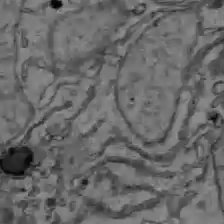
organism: C57BL Mouse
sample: Liver